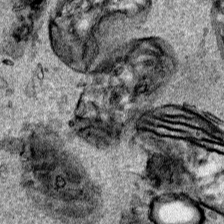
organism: Human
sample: Mitochondria in HCT116 cells